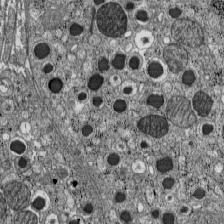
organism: C57BL Mouse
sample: Pancreatic islet